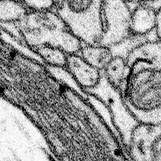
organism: Mouse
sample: Somatosensory cortex neuropil